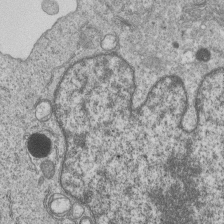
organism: Human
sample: MDA-MB-231 cells